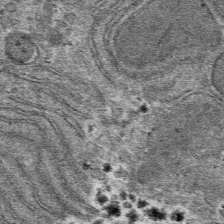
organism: Mouse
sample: Mouse hepatocytes